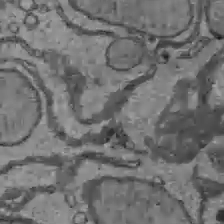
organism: C57BL Mouse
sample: Liver